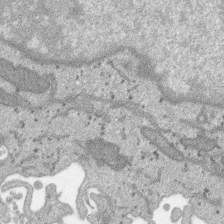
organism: Human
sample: Lung epithelial cells infected with SARS-CoV-2